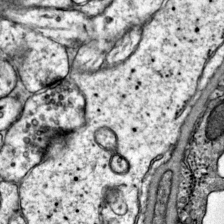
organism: Mouse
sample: Primary visual cortex